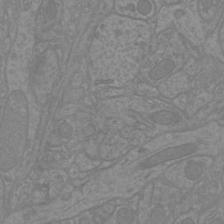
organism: Mouse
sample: Cortical neurons